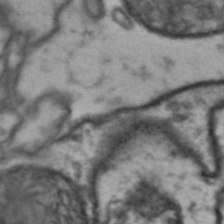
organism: Drosophila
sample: Brain